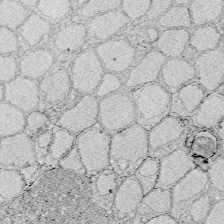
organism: Zebrafish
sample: Whole-Brain